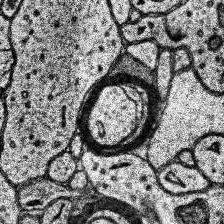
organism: Human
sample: Temporal Lobe